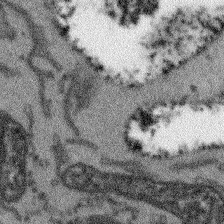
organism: Arabidopsis thaliana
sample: Root tip